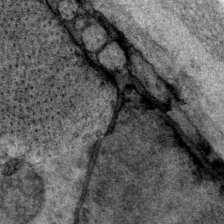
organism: P. pacificus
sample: Pharynx